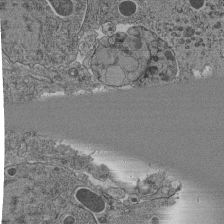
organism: C. elegans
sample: C. elegans pharynx